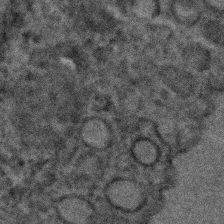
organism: C. elegans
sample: C. elegans embryo